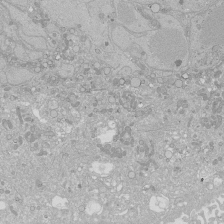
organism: Human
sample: Caco-2 cells